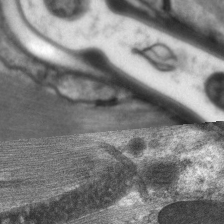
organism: C. elegans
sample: Pharynx